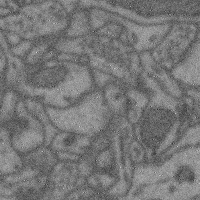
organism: Mouse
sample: Cerebral cortex